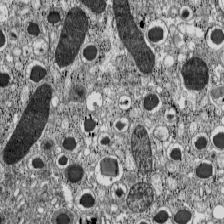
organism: C57BL Mouse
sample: Pancreatic islet